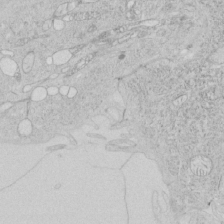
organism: Human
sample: Mitochondria in HCT116 cells